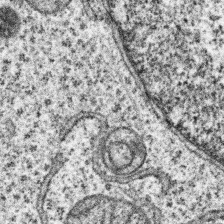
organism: Human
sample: HeLa cells